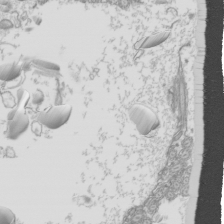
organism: Mouse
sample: Cilia; mouse epididymis